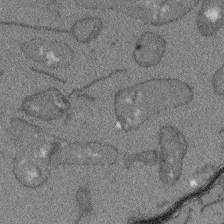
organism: Arabidopsis thaliana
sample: Root tip